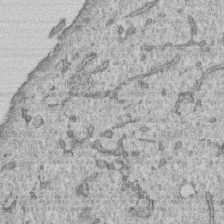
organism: Human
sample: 1205lu cells